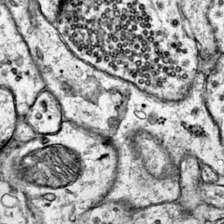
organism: Mouse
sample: Primary visual cortex